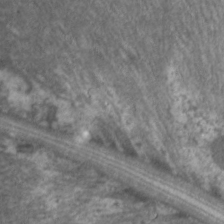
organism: C. elegans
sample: Pharynx